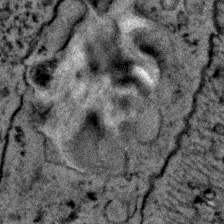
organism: C. elegans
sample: C. elegans embryo